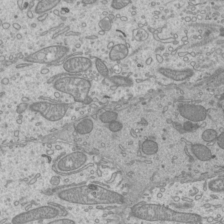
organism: Mouse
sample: Cilia; mouse epididymis